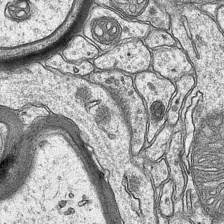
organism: Mouse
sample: CA1 Hippocampus